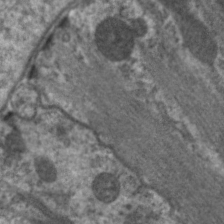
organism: C. elegans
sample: Pharynx